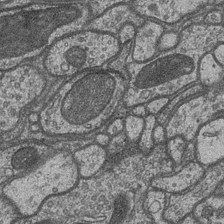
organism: Drosophila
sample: Optic medulla